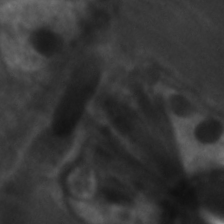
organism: C. elegans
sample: Pharynx